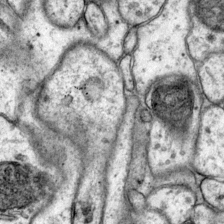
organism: Mouse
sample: Primary visual cortex